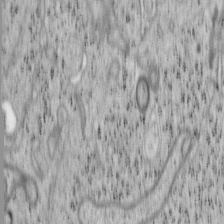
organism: Human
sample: HeLa cells